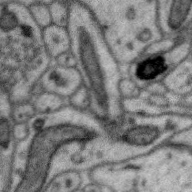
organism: Zebra finch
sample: Brain